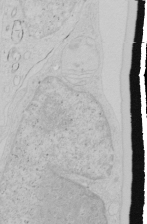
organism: Human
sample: Mitochondria in HCT116 cells